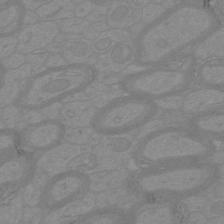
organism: Mouse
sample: Cortical neurons